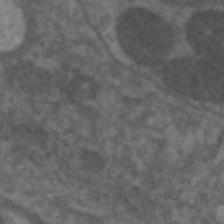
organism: C. elegans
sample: Pharynx